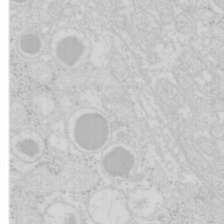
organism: Mouse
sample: Pancreas